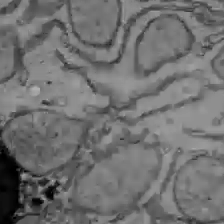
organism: C57BL Mouse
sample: Liver